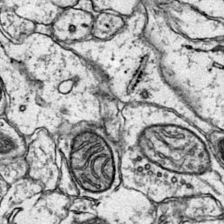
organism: Mouse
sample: Primary visual cortex